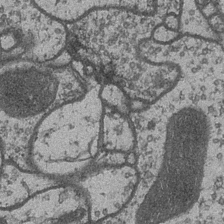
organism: Drosophila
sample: Optic medulla